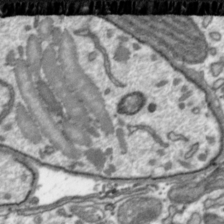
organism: Toxoplasma gondii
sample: Parasites in a vacuole inside a host cell